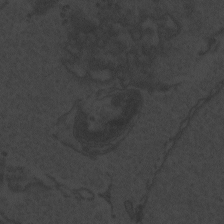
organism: Zebrafish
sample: Macrophage infected with Toxoplasma gondii